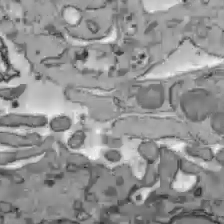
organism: C57BL Mouse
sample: Liver